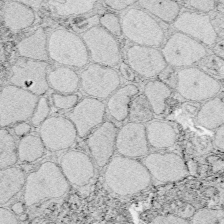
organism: Zebrafish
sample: Whole-Brain